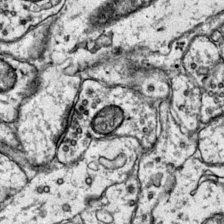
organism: Mouse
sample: Primary visual cortex